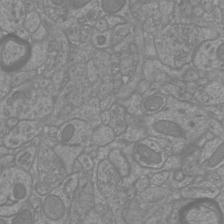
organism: Mouse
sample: Cortical neurons